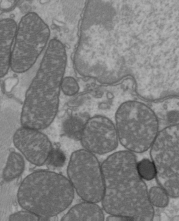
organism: C57BL Mouse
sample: Heart